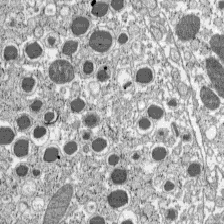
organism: C57BL Mouse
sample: Pancreatic islet